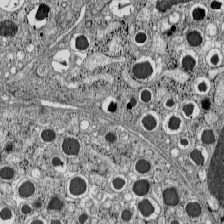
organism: C57BL Mouse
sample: Pancreatic islet